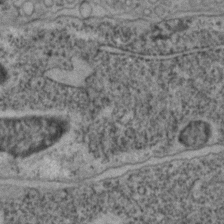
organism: C. elegans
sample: C. elegans embryo